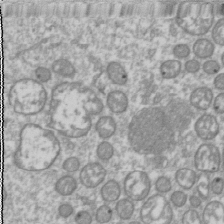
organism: Drosophila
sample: Cell division; meiosis; drosophila spermatocytes